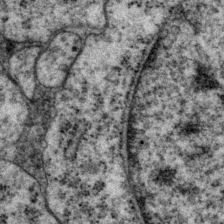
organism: P. pacificus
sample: Pharynx